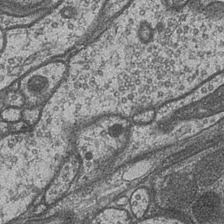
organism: Drosophila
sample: Optic medulla